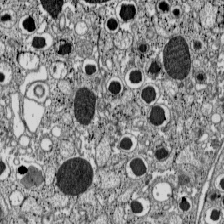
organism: C57BL Mouse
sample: Pancreatic islet